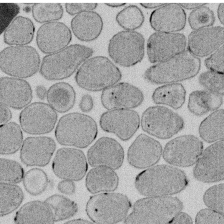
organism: E. coli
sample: Bacterial nucleoid